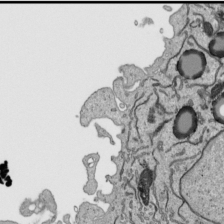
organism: Human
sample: Mitochondria in HCT116 cells